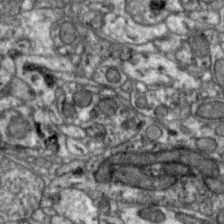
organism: Zebra finch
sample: Brain